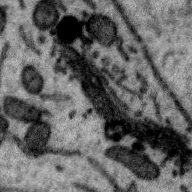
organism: Zebra finch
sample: Brain